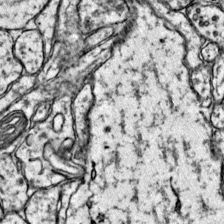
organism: Mouse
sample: Primary visual cortex